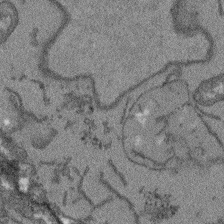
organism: Arabidopsis thaliana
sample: Root tip